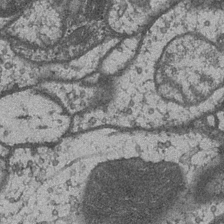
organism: Drosophila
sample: Optic medulla